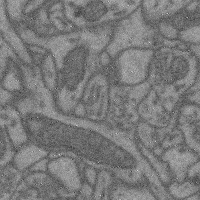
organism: Mouse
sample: Cerebral cortex